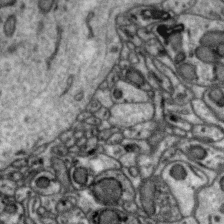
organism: Zebra finch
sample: Brain